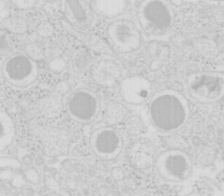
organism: Mouse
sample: Pancreas